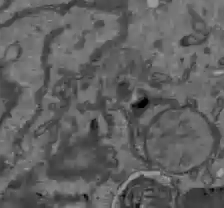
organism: C57BL Mouse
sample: Liver